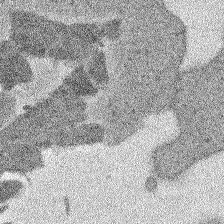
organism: Human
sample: HeLa cells